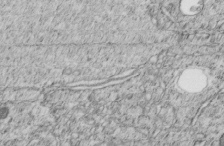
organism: C. elegans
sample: C. elegans embryo early stage